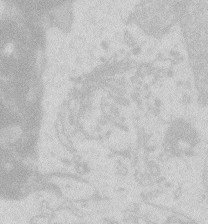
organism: Zebrafish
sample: Macrophage